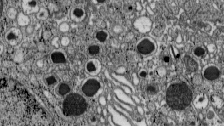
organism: C57BL Mouse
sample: Pancreatic islet